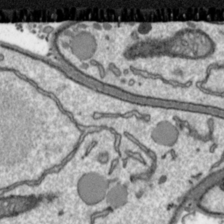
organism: Toxoplasma gondii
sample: Parasites in a vacuole inside a host cell